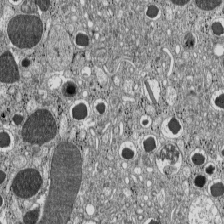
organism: C57BL Mouse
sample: Pancreatic islet